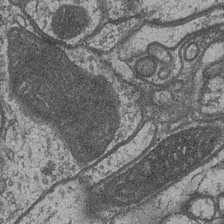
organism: Drosophila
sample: Optic medulla